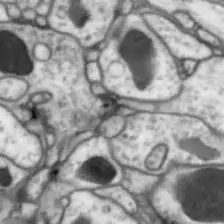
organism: Drosophila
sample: Optic lobe